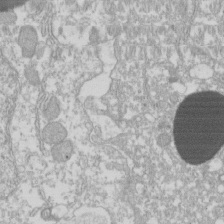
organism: Xenopus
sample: Cilia; centrioles in frog embryo cells